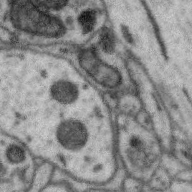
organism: Zebra finch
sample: Brain